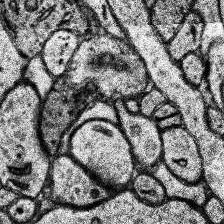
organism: Human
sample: Temporal Lobe